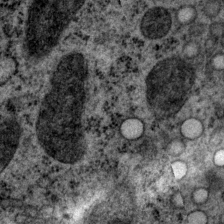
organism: P. pacificus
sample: Pharynx